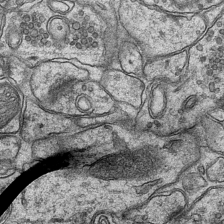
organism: Mouse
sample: CA1 Hippocampus